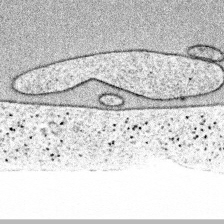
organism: Human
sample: HeLa cells